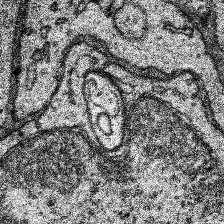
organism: Human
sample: Temporal Lobe